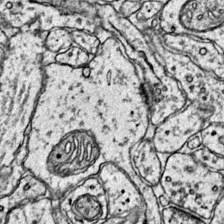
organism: Mouse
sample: Primary visual cortex